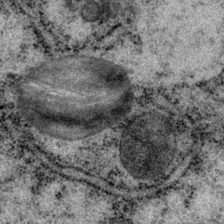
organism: P. pacificus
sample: Pharynx